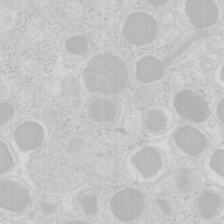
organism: Mouse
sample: Pancreas